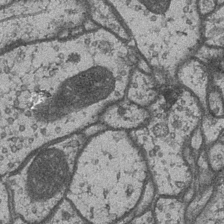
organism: Drosophila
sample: Optic medulla